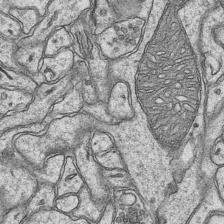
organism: Mouse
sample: CA1 Hippocampus